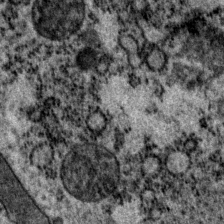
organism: P. pacificus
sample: Pharynx